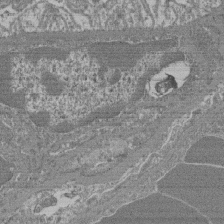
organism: Mouse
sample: Glomerulus